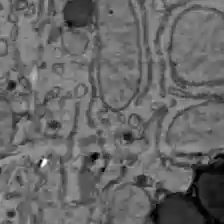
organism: C57BL Mouse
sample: Liver